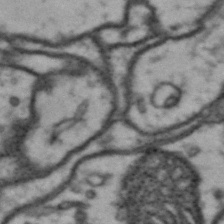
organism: Drosophila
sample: Brain